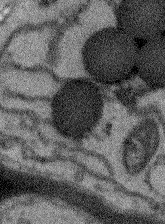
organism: Arabidopsis thaliana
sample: Root tip